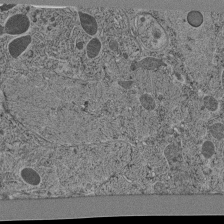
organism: C. elegans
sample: C. elegans pharynx